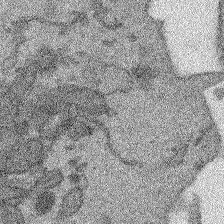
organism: Human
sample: HeLa cells